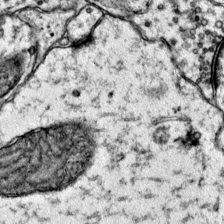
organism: Mouse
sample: Primary visual cortex